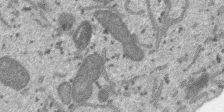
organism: Human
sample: Lung epithelial cells infected with SARS-CoV-2